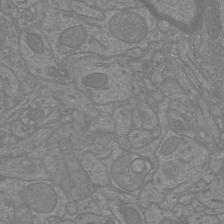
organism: Mouse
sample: Cortical neurons